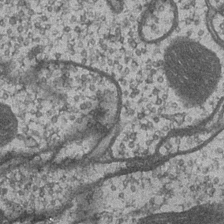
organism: Drosophila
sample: Optic medulla